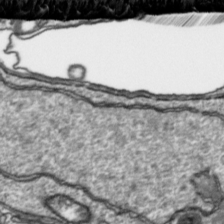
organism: Toxoplasma gondii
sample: Parasites in a vacuole inside a host cell